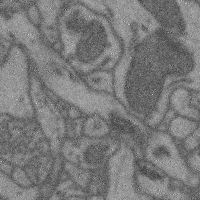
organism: Mouse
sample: Cerebral cortex